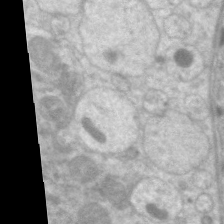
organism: C. elegans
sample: Pharynx